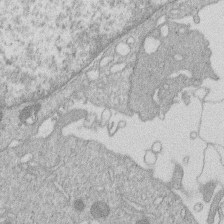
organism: Human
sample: Macrophage cells